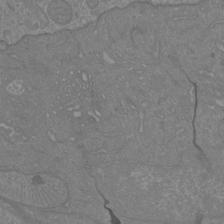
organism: Mouse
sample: Cortical neurons